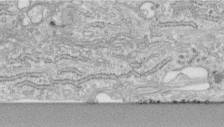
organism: Human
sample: Centriole in fibroblast cells